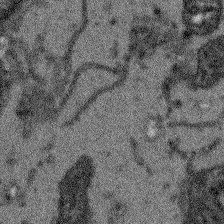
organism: Arabidopsis thaliana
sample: Root tip